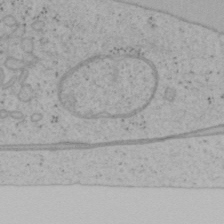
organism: Human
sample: HeLa cells